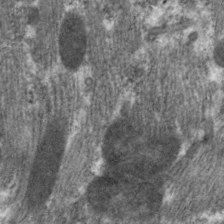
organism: C. elegans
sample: Pharynx